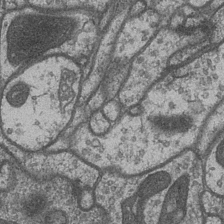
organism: Drosophila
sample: Optic medulla